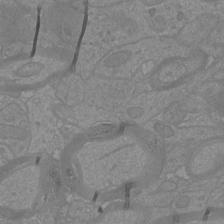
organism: Mouse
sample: Cortical neurons